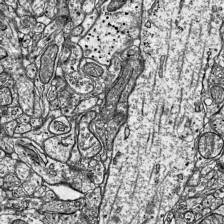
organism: Mouse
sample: Visual Cortex